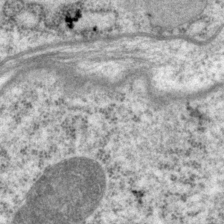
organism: P. pacificus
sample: Pharynx